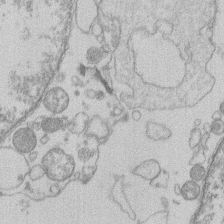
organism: Human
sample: Macrophage cells